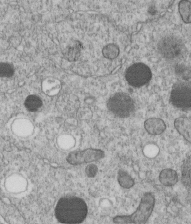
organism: C. elegans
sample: C. elegans embryo early stage